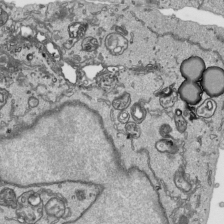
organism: Human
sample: Mitochondria in HCT116 cells